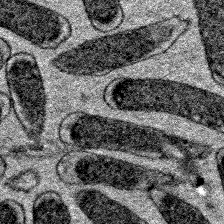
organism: E. coli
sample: E. Coli Bacteria